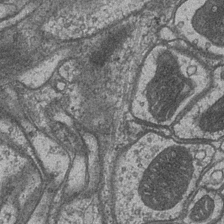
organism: Drosophila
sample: Optic medulla